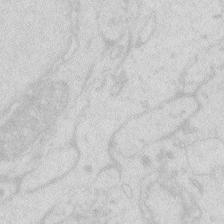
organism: Zebrafish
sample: Macrophage